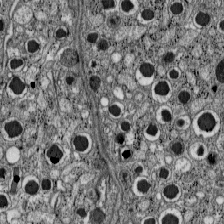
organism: C57BL Mouse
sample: Pancreatic islet